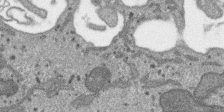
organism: Human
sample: Lung epithelial cells infected with SARS-CoV-2